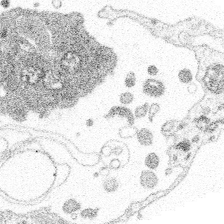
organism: Spongilla lacustris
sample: Multiple